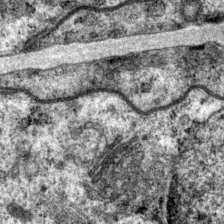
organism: P. pacificus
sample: Pharynx